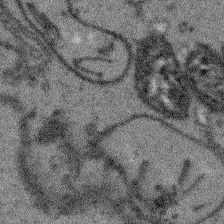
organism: Arabidopsis thaliana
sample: Root tip